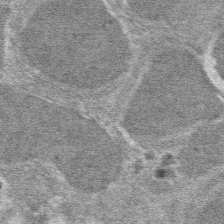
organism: Mouse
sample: Mouse hepatocytes